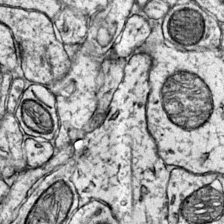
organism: Mouse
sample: Primary visual cortex